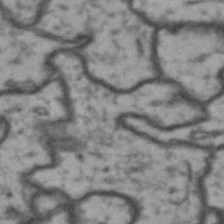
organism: Drosophila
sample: Brain